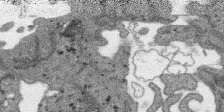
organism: Human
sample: Lung epithelial cells infected with SARS-CoV-2